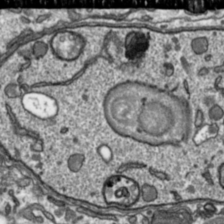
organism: Toxoplasma gondii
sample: Parasites in a vacuole inside a host cell